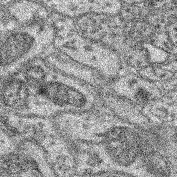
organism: Mouse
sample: Retina